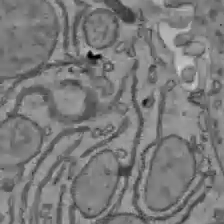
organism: C57BL Mouse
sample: Liver